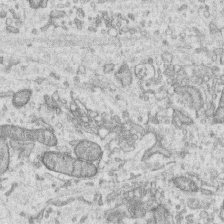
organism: Human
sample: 1205lu cells